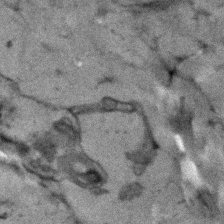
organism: Human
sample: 1205lu cells